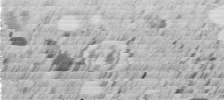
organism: C. elegans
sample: C. elegans embryo early stage